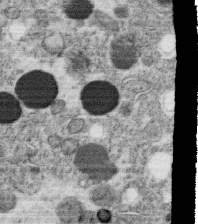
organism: C. elegans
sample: C. elegans oocyte; sperm cells